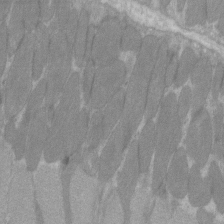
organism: C57BL Mouse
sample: Tibialis anterior muscle cell